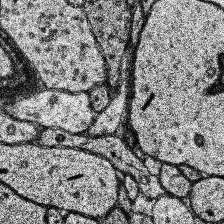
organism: Human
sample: Temporal Lobe